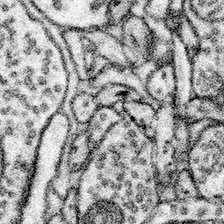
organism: Mouse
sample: Somatosensory cortex neuropil